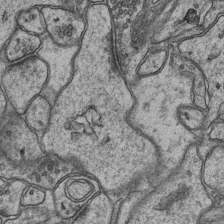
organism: Mouse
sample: CA1 Hippocampus